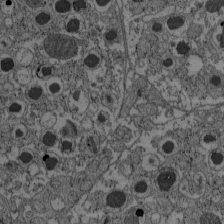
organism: C57BL Mouse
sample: Pancreatic islet